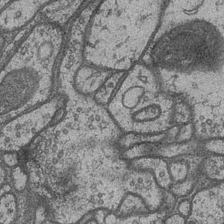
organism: Drosophila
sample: Optic medulla